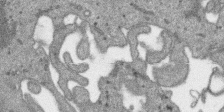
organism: Human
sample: Lung epithelial cells infected with SARS-CoV-2